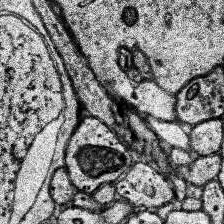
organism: Human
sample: Temporal Lobe